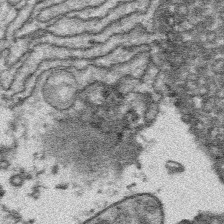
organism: Platynereis dumerilii